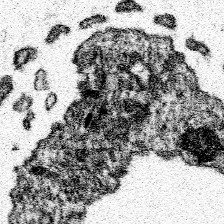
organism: Spongilla lacustris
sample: Neuroid cell